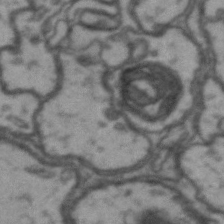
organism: Drosophila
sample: Brain